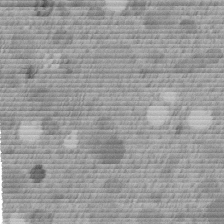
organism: C. elegans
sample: C. elegans embryo early stage